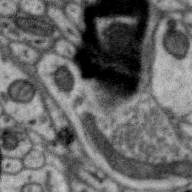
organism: Zebra finch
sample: Brain